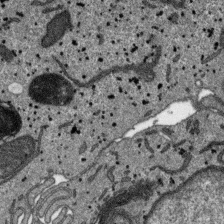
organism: Human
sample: Lung epithelial cells, uninfected (mock) control